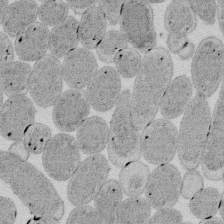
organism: E. coli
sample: Bacterial nucleoid